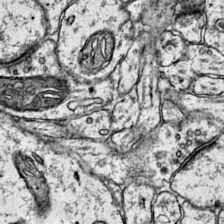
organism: Mouse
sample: Primary visual cortex